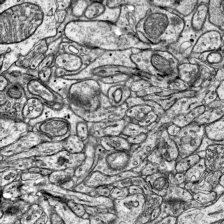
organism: Mouse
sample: Visual Cortex